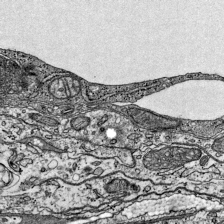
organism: Mouse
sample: Visual Cortex